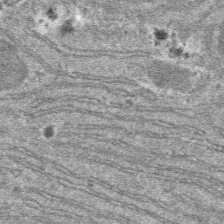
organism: Mouse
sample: Mouse hepatocytes